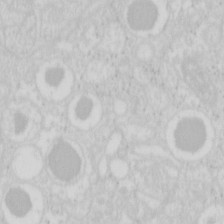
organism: Mouse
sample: Pancreas